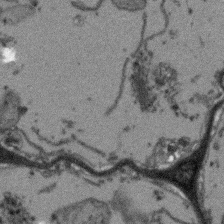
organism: Arabidopsis thaliana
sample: Root tip